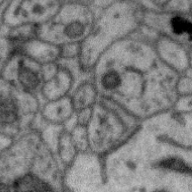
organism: Zebra finch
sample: Brain